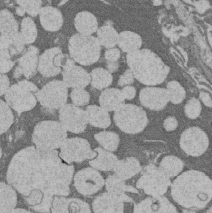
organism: Rat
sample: Salivary granule